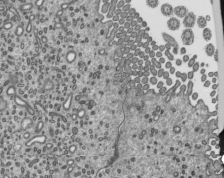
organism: Mouse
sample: Mouse epididymis efferent ductule cilia